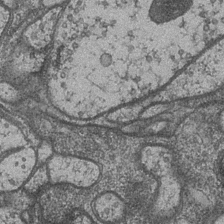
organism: Drosophila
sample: Optic medulla